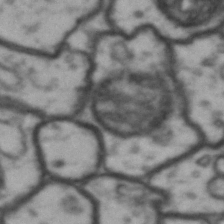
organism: Drosophila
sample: Brain